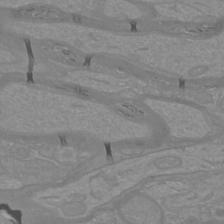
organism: Mouse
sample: Cortical neurons